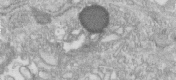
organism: Human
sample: Centriole in fibroblast cells